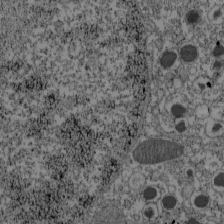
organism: C57BL Mouse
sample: Pancreatic islet